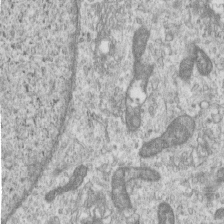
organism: Human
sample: Centriole in RPE cells